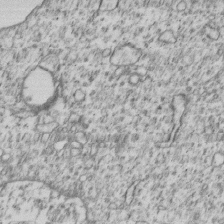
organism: Human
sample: MDA-MB-231 cells